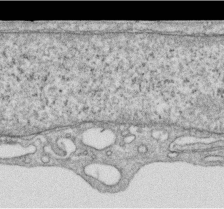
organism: Human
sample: Centriole in RPE cells